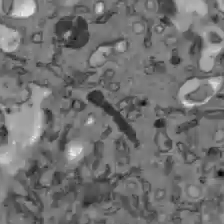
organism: C57BL Mouse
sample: Liver